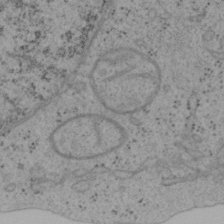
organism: Human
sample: HeLa cells